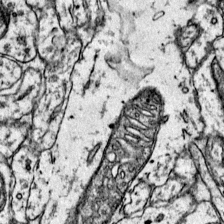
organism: Mouse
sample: Primary visual cortex